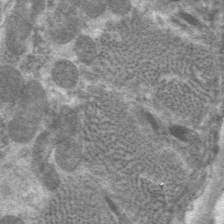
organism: C. elegans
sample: Pharynx